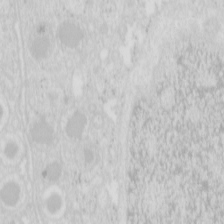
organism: Mouse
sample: Pancreas